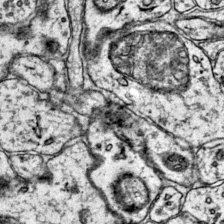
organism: Mouse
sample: Primary visual cortex